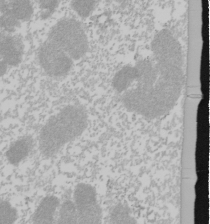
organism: Mouse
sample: Cancer cell death in ED-1 cells